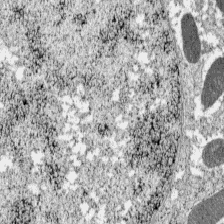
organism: C57BL Mouse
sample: Pancreatic islet